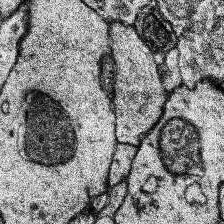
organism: Human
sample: Temporal Lobe